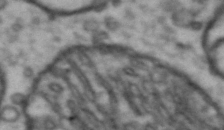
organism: Drosophila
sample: Brain